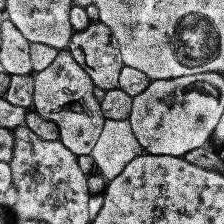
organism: Human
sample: Temporal Lobe